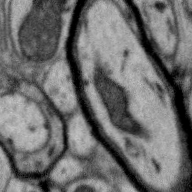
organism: Zebra finch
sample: Brain